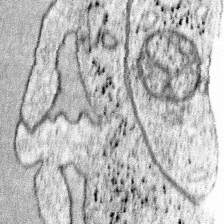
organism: Human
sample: HeLa cells